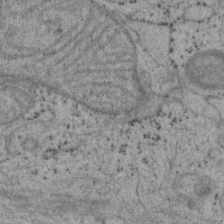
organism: Human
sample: HeLa cells